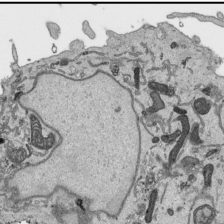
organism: Human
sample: Mitochondria in HCT116 cells